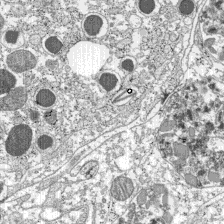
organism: C57BL Mouse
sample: Pancreatic islet